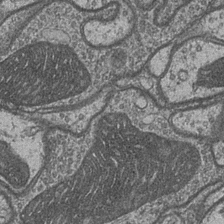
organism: Drosophila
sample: Optic medulla